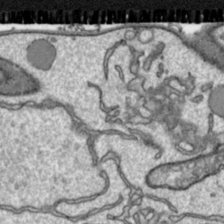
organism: Toxoplasma gondii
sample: Parasites in a vacuole inside a host cell